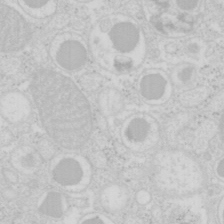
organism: Mouse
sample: Pancreas